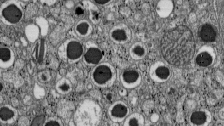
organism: C57BL Mouse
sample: Pancreatic islet